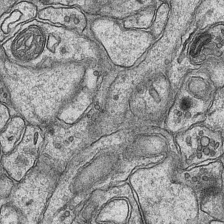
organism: Mouse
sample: CA1 Hippocampus